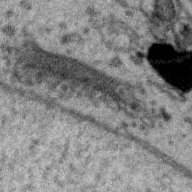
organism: Zebra finch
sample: Brain